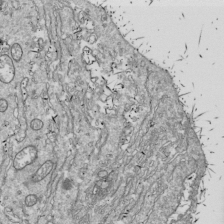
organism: Drosophila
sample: Cell division; meiosis; drosophila spermatocytes